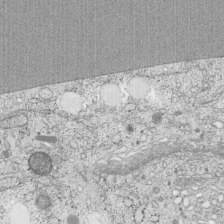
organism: African green monkey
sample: COS-7 cells